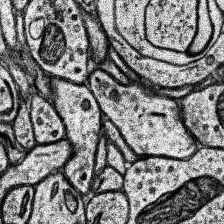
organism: Human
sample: Temporal Lobe